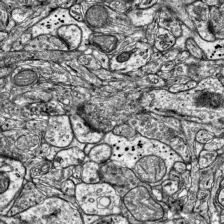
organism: Mouse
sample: Visual Cortex